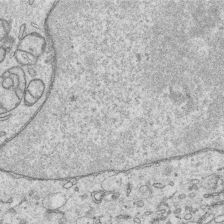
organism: Human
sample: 1205lu cells